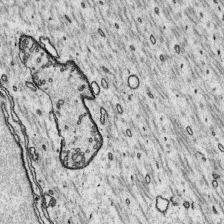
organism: Platynereis dumerilii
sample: Parapodia